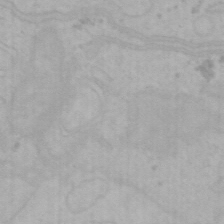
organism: Mouse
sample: Choroid plexus